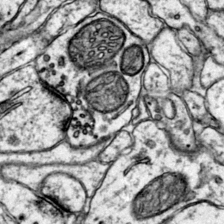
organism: Mouse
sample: Primary visual cortex